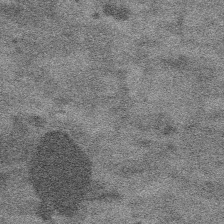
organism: Platynereis dumerilii